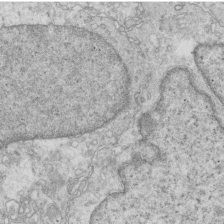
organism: Mouse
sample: Multiciliated cells